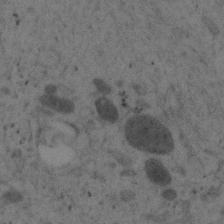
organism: Human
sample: HeLa cells